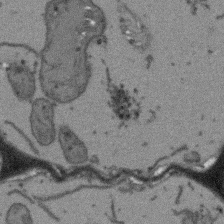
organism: Arabidopsis thaliana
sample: Root tip